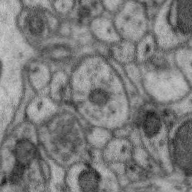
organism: Zebra finch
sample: Brain